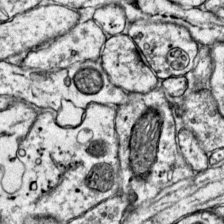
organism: Mouse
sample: Primary visual cortex